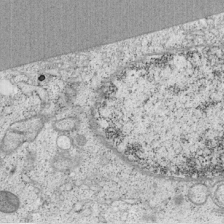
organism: African green monkey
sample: COS-7 cells